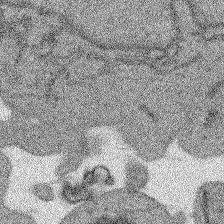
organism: Human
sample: HeLa cells